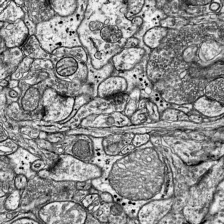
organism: Mouse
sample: Visual Cortex